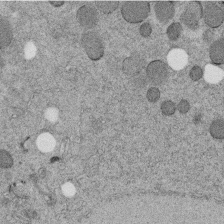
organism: C. elegans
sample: C. elegans embryo early stage